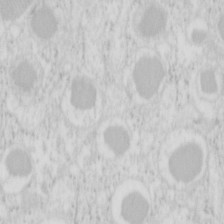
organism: Mouse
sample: Pancreas